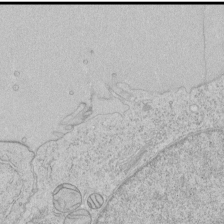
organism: Human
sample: Mitochondria in HCT116 cells